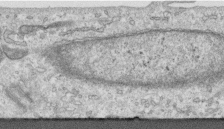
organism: Human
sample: Centriole in RPE cells